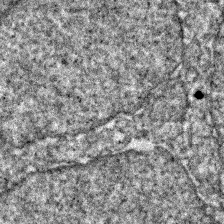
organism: Zebrafish